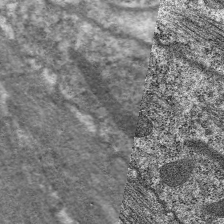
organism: C. elegans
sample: Pharynx